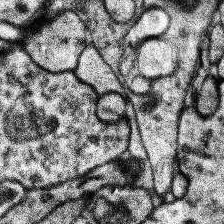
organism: Human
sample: Temporal Lobe